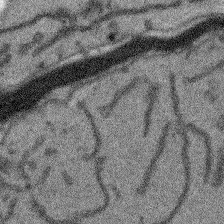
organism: Arabidopsis thaliana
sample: Root tip